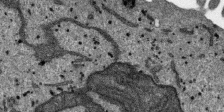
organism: Human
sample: Lung epithelial cells, uninfected (mock) control